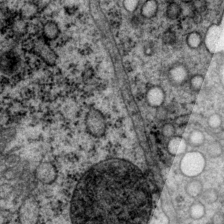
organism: P. pacificus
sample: Pharynx